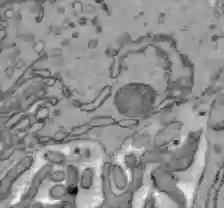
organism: C57BL Mouse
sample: Liver